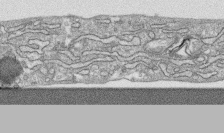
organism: Human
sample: CRL-1474